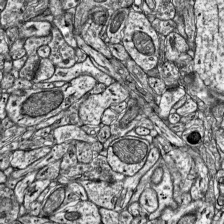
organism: Mouse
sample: Visual Cortex